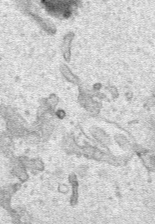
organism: Human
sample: Mitochondria in HCT116 cells